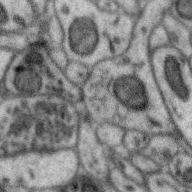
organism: Zebra finch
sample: Brain